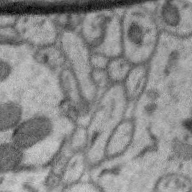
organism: Zebra finch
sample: Brain